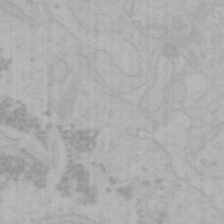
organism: Mouse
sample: Choroid plexus